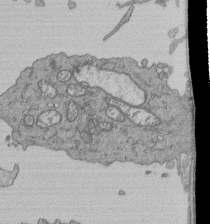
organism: Human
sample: Retinal organoid Rod and Cone cells